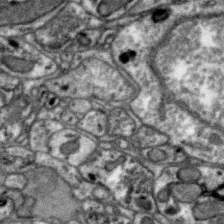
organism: Zebra finch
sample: Brain